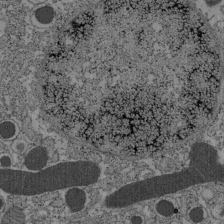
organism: C57BL Mouse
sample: Pancreatic islet